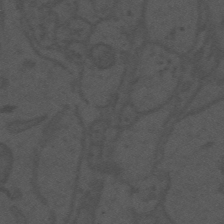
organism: Mouse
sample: Suprachiasmatic nucleus